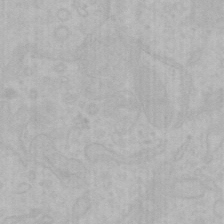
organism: Mouse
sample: Choroid plexus